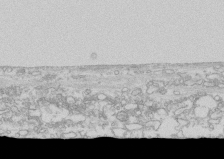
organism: Human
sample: CRL-1474